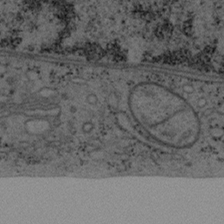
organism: Human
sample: HeLa cells